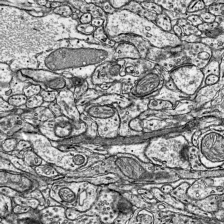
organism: Mouse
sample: Visual Cortex